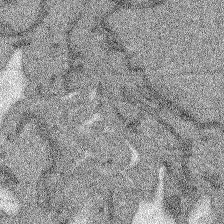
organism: Human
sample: HeLa cells